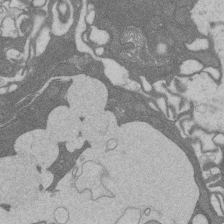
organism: Rat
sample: Salivary granule